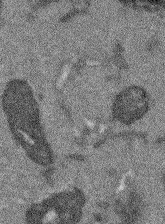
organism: Arabidopsis thaliana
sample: Root tip